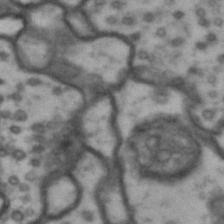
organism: Drosophila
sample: Brain